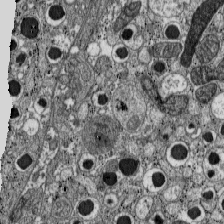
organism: C57BL Mouse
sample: Pancreatic islet